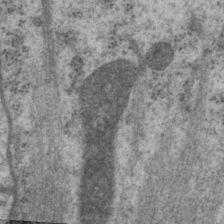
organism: P. pacificus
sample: Pharynx